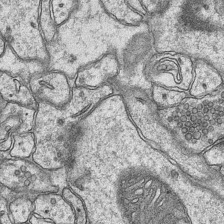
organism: Mouse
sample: CA1 Hippocampus